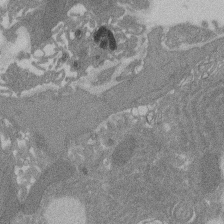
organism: Rat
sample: Salivary granule